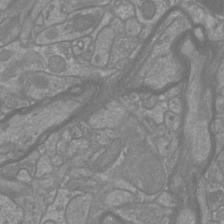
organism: Mouse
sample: Cortical neurons